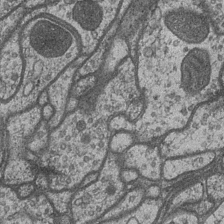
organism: Drosophila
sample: Optic medulla